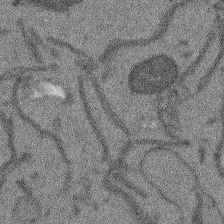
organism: Arabidopsis thaliana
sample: Root tip